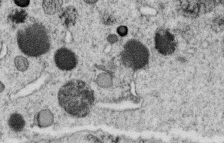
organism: C. elegans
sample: C. elegans oocyte; sperm cells